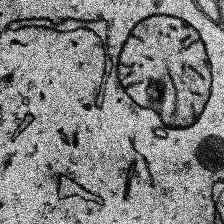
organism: Human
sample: Temporal Lobe